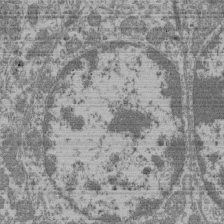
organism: Mouse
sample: Glomerulus